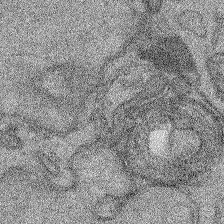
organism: Human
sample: HeLa cells